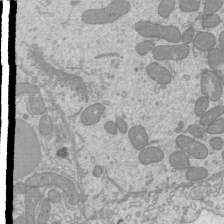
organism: Mouse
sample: Cilia; mouse epididymis